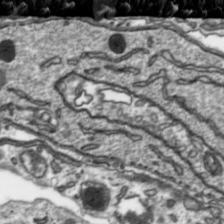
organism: Toxoplasma gondii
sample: Parasites in a vacuole inside a host cell